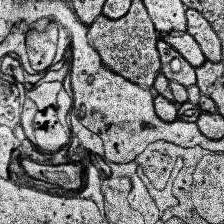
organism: Human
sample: Temporal Lobe